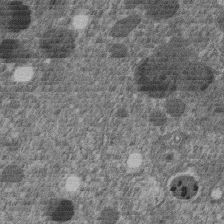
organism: C. elegans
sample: C. elegans embryo early stage